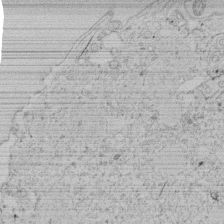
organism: Tetrahymena